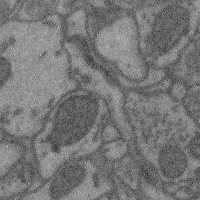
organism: Mouse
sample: Cerebral cortex